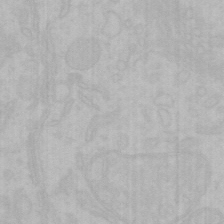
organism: Mouse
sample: Choroid plexus